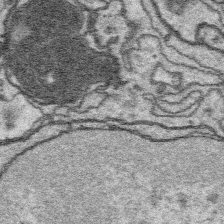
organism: Platynereis dumerilii